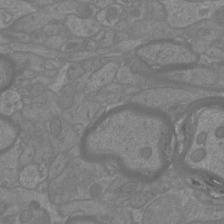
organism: Mouse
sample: Cortical neurons